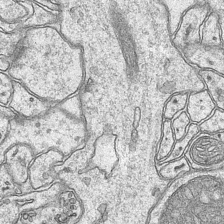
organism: Mouse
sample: CA1 Hippocampus